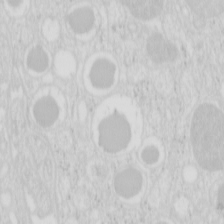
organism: Mouse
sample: Pancreas